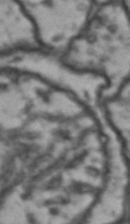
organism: Drosophila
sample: Brain